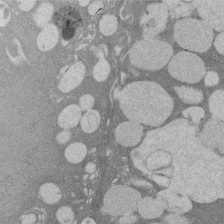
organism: Rat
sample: Salivary granule